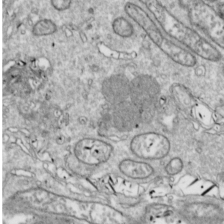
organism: Drosophila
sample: Cell division; meiosis; drosophila spermatocytes